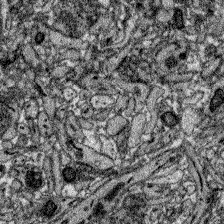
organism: Zebrafish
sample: Larval olfactory bulb